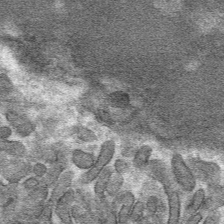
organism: Mouse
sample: Mouse hepatocytes